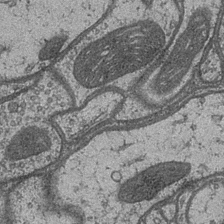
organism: Drosophila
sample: Optic medulla